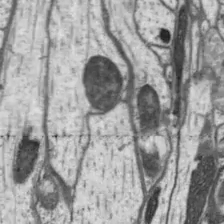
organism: Drosophila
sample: Protocerebral bridge